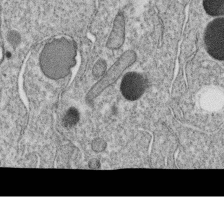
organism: C. elegans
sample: C. elegans oocyte; sperm cells